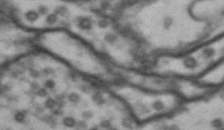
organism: Drosophila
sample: Brain